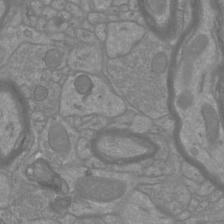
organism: Mouse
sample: Cortical neurons